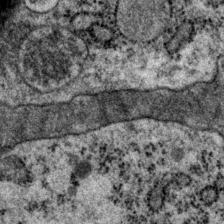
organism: P. pacificus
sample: Pharynx